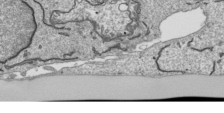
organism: Human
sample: Mitochondria in HCT116 cells